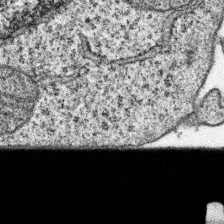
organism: Human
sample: HeLa cells